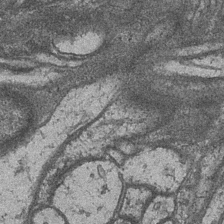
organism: Drosophila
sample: Optic medulla